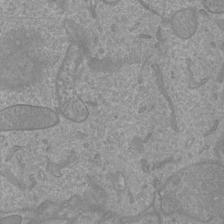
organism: Mouse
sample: Cortical neurons